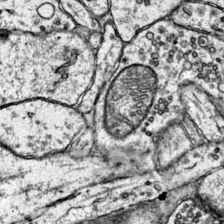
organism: Mouse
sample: Primary visual cortex